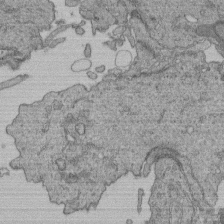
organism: Human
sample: Retinal organoid Rod and Cone cells